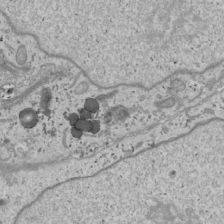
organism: Human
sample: Mitochondria in U2OS cells